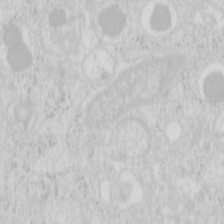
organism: Mouse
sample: Pancreas